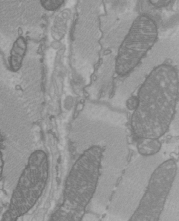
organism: C57BL Mouse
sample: Heart